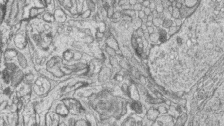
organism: Zebrafish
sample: synaptic ribbons in rod cells and cone cells